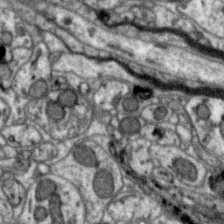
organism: Zebra finch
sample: Brain